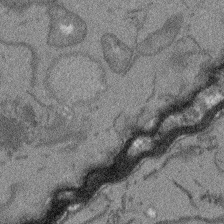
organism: Arabidopsis thaliana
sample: Root tip